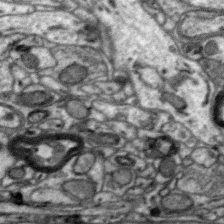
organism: Zebra finch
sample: Brain